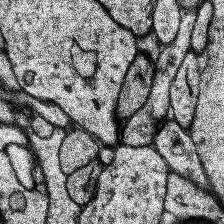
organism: Human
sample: Temporal Lobe